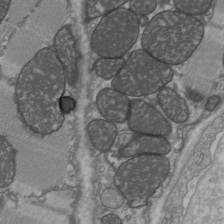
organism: C57BL Mouse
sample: Heart